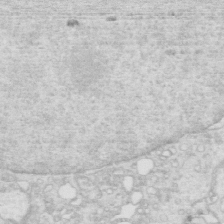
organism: Mouse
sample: Multiciliated cells